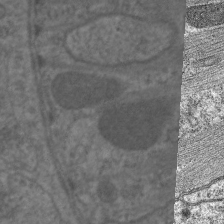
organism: C. elegans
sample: Pharynx